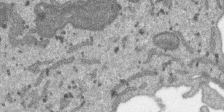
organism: Human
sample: Lung epithelial cells infected with SARS-CoV-2